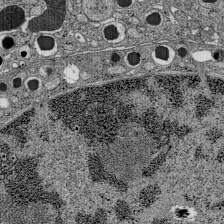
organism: C57BL Mouse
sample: Pancreatic islet